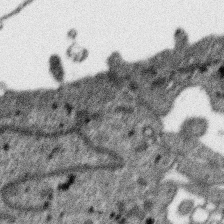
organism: Human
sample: Lung epithelial cells infected with SARS-CoV-2